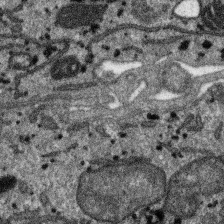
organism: Human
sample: Lung epithelial cells infected with SARS-CoV-2